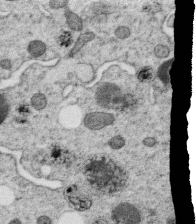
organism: C. elegans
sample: C. elegans oocyte; sperm cells